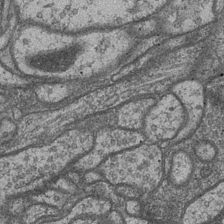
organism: Drosophila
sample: Optic medulla